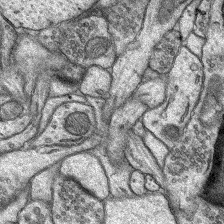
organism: Rat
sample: Hippocampus